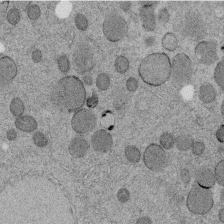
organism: C. elegans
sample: C. elegans embryo early stage